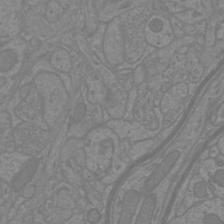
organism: Mouse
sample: Cortical neurons